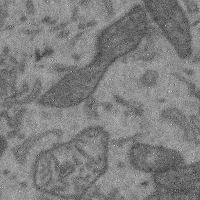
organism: Mouse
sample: Cerebral cortex